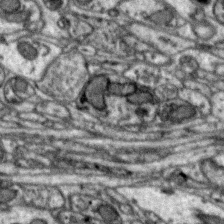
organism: Zebra finch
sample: Brain